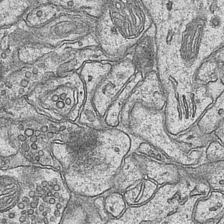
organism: Mouse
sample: CA1 Hippocampus